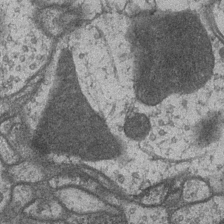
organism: Drosophila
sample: Optic medulla